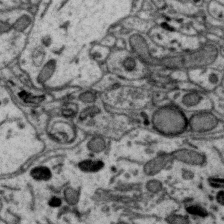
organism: Zebra finch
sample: Brain